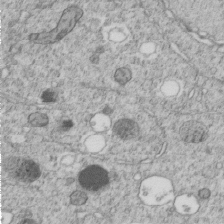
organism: C. elegans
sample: C. elegans embryo early stage